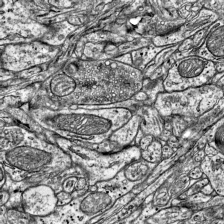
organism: Mouse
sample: Visual Cortex